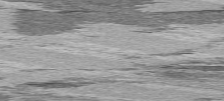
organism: C57BL Mouse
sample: Heart